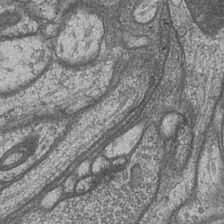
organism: Drosophila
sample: Optic medulla